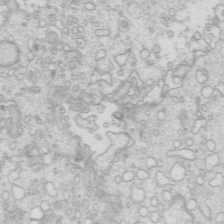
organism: Mouse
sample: Multiciliated cells